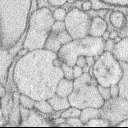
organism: Rabbit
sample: Retina